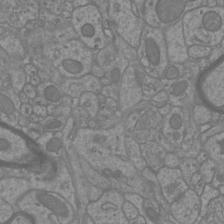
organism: Mouse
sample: Cortical neurons